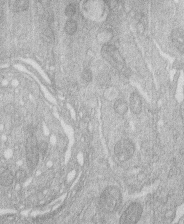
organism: Human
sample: Macrophage cells